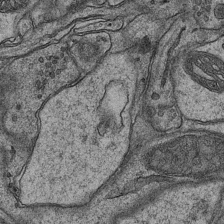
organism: Mouse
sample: CA1 Hippocampus